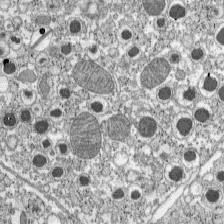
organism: C57BL Mouse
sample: Pancreatic islet